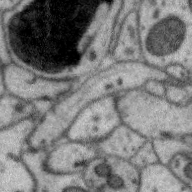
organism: Zebra finch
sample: Brain